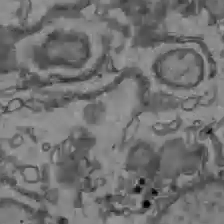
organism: C57BL Mouse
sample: Liver